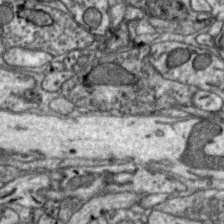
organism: Zebra finch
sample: Brain